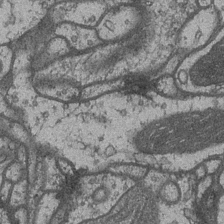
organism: Drosophila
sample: Optic medulla